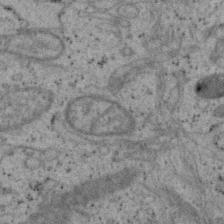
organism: Human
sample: HeLa cells